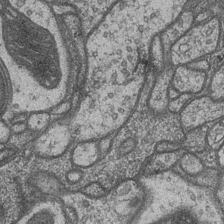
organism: Drosophila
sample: Optic medulla